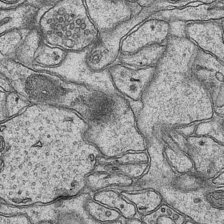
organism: Mouse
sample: CA1 Hippocampus